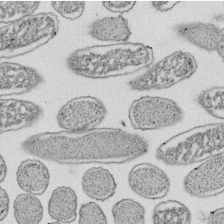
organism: E. coli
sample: Bacterial nucleoid